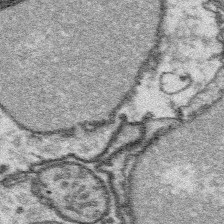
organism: Platynereis dumerilii